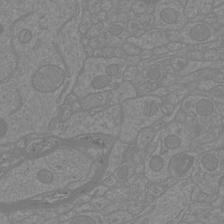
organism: Mouse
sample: Cortical neurons